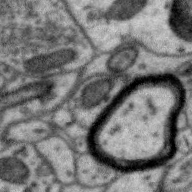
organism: Zebra finch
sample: Brain